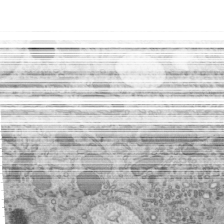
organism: Mouse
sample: Mouse epididymis efferent ductule cilia